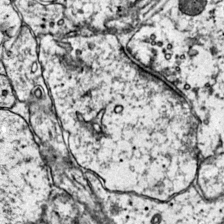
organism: Mouse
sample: Primary visual cortex